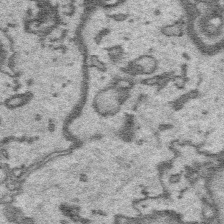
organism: Platynereis dumerilii